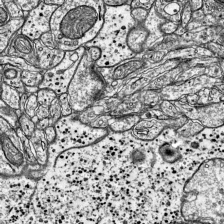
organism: Mouse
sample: Visual Cortex